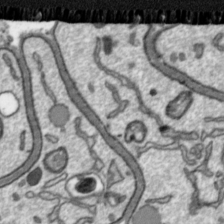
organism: Toxoplasma gondii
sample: Parasites in a vacuole inside a host cell